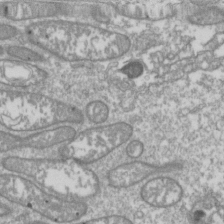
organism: Drosophila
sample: Cell division; meiosis; drosophila spermatocytes